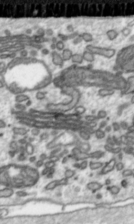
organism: Toxoplasma gondii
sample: Parasites in a vacuole inside a host cell